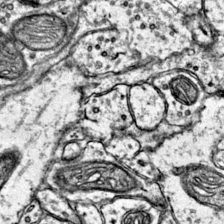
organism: Mouse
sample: Primary visual cortex